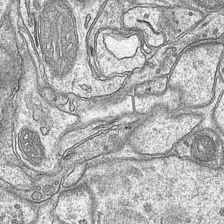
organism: Mouse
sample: CA1 Hippocampus